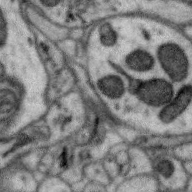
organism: Zebra finch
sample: Brain